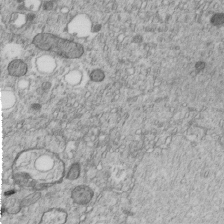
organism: C. elegans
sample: C. elegans embryo early stage